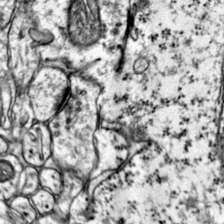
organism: Mouse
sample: Primary visual cortex